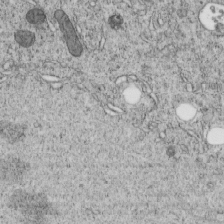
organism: C. elegans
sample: C. elegans embryo early stage